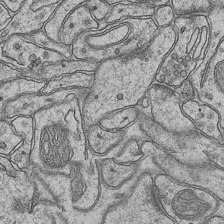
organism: Mouse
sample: CA1 Hippocampus